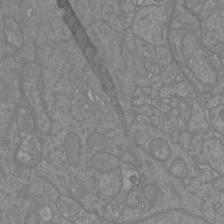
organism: Mouse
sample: Cortical neurons